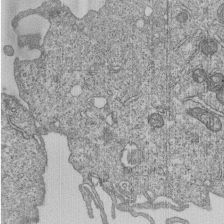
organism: Human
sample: MDA-MB-231 cells